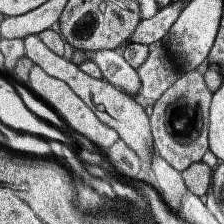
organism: Human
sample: Temporal Lobe